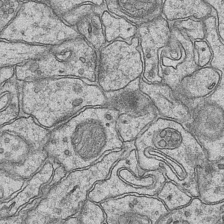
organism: Mouse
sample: CA1 Hippocampus